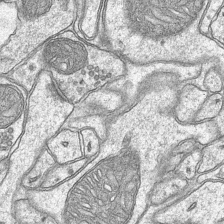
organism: Mouse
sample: CA1 Hippocampus